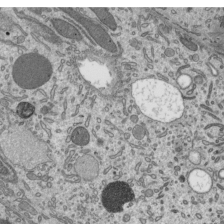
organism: Mouse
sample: Mouse epididymis efferent ductule cilia